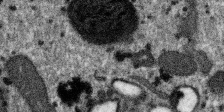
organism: Human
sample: Lung epithelial cells infected with SARS-CoV-2